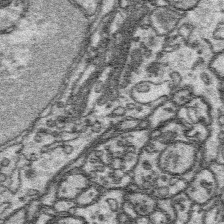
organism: Platynereis dumerilii